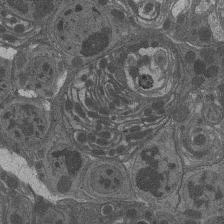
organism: Drosophila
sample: Antenna